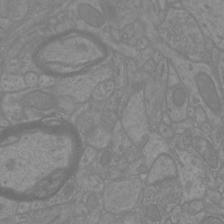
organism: Mouse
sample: Cortical neurons